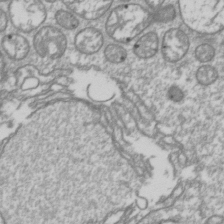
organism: Drosophila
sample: Cell division; meiosis; drosophila spermatocytes